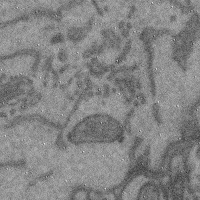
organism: Mouse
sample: Cerebral cortex